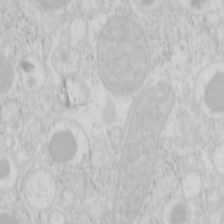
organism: Mouse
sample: Pancreas